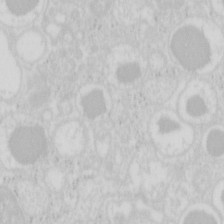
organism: Mouse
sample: Pancreas